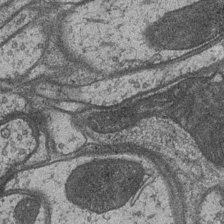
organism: Drosophila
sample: Optic medulla